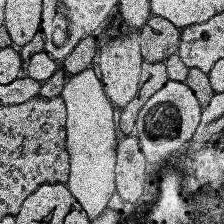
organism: Human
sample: Temporal Lobe